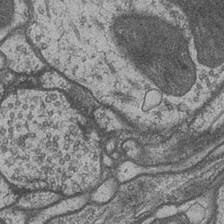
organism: Drosophila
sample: Optic medulla